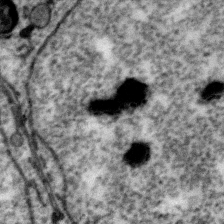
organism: Zebra finch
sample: Brain